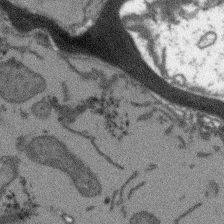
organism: Arabidopsis thaliana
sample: Root tip